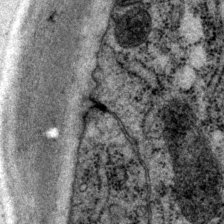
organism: P. pacificus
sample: Pharynx